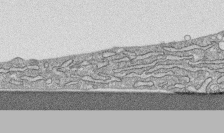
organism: Human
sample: CRL-1474